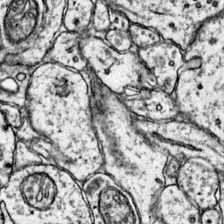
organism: Mouse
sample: Primary visual cortex